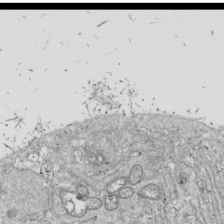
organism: Drosophila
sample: Cell division; meiosis; drosophila spermatocytes